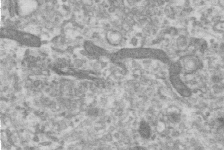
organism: Human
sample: Centriole in RPE cells